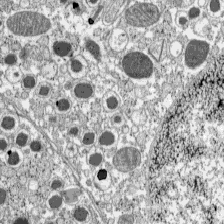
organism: C57BL Mouse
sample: Pancreatic islet